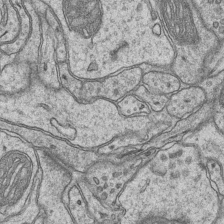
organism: Mouse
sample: CA1 Hippocampus